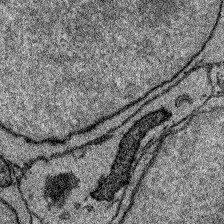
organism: Zebrafish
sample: Larval olfactory bulb